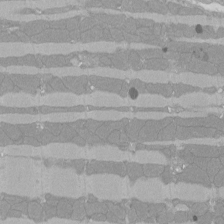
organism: Rat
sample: Left ventricle